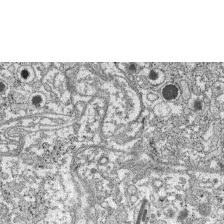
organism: C57BL Mouse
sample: Pancreatic islet